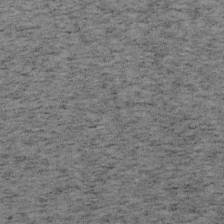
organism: Mouse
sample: OT-I killer T cells with ID8 ovarian cancer cells